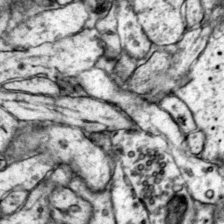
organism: Mouse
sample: Primary visual cortex